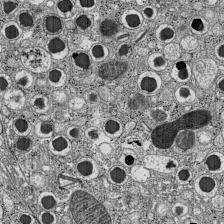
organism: C57BL Mouse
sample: Pancreatic islet